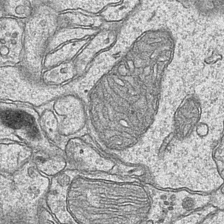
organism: Mouse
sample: CA1 Hippocampus